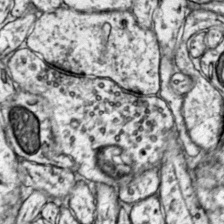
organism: Mouse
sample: Primary visual cortex